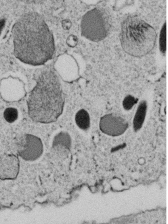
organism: C. elegans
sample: C. elegans embryo early stage